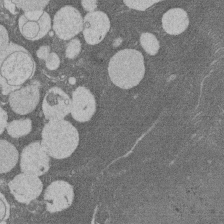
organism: Rat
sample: Salivary granule